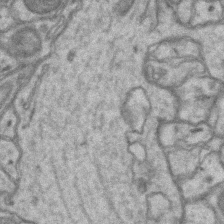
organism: Mouse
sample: CA1 Hippocampus